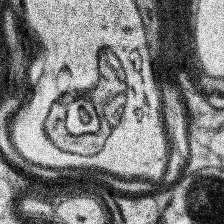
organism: Human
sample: Temporal Lobe